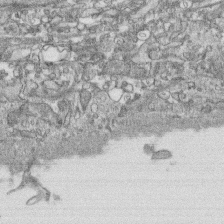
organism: Human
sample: CRL-1474